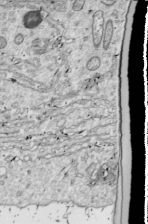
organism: Drosophila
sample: Cell division; meiosis; drosophila spermatocytes